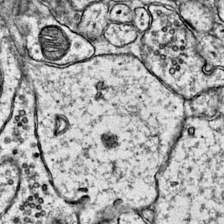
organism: Mouse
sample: Primary visual cortex